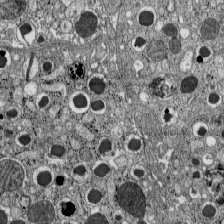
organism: C57BL Mouse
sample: Pancreatic islet